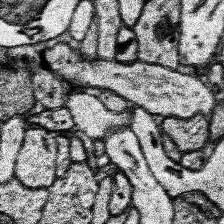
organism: Human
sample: Temporal Lobe